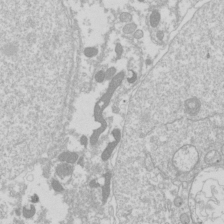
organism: Drosophila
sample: Cell division; meiosis; drosophila spermatocytes